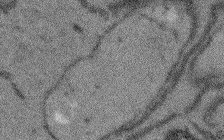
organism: Arabidopsis thaliana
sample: Root tip